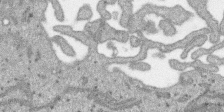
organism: Human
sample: Lung epithelial cells infected with SARS-CoV-2